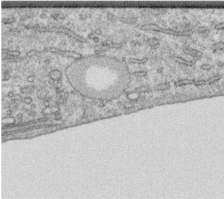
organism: Human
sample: Centriole in RPE cells